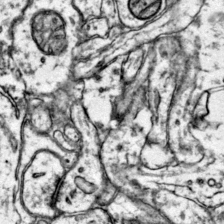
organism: Mouse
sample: Primary visual cortex